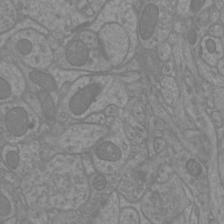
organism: Mouse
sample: Cortical neurons